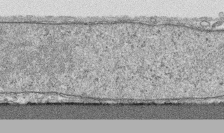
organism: Human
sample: CRL-1474